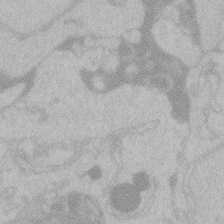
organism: Zebrafish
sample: Macrophage infected with Toxoplasma gondii